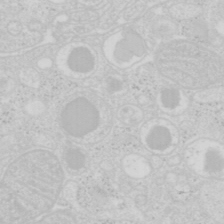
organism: Mouse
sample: Pancreas